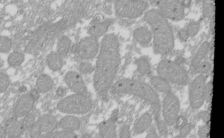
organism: Xenopus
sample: Cilia; centrioles in frog embryo cells